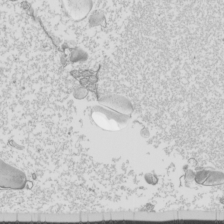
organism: Mouse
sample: Cilia; mouse epididymis